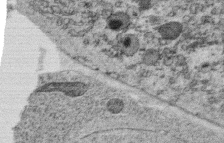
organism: C. elegans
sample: C. elegans oocyte; sperm cells